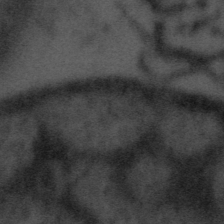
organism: Tuwongella immobilis